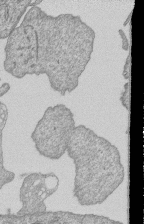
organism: Human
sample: MDA-MB-231 cells